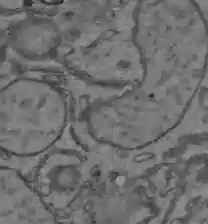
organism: C57BL Mouse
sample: Liver